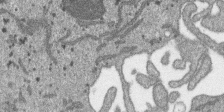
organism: Human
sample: Lung epithelial cells infected with SARS-CoV-2